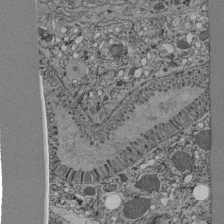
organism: C. elegans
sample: C. elegans pharynx